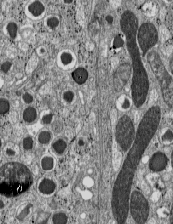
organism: C57BL Mouse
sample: Pancreatic islet